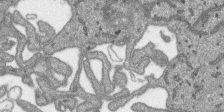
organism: Human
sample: Lung epithelial cells infected with SARS-CoV-2